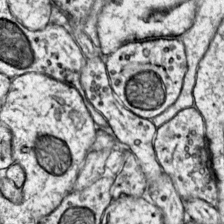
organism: Mouse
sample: Primary visual cortex